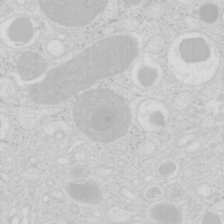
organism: Mouse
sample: Pancreas